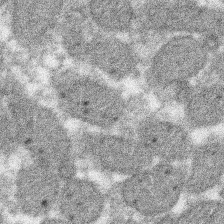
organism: Xenopus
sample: Cilia; centrioles in frog embryo cells